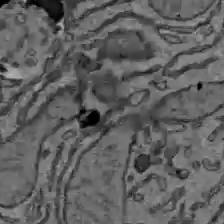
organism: C57BL Mouse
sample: Liver